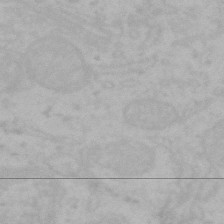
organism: Mouse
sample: Choroid plexus